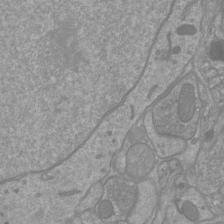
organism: Mouse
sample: Cortical neurons